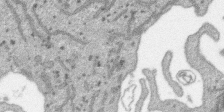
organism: Human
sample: Lung epithelial cells infected with SARS-CoV-2